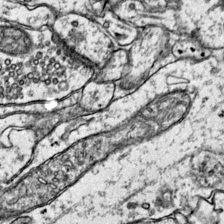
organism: Mouse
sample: Primary visual cortex